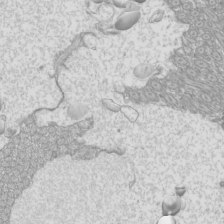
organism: Mouse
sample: Cilia; mouse epididymis